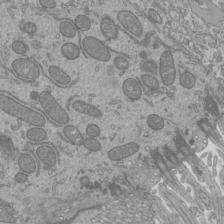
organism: Mouse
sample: Cilia; mouse epididymis